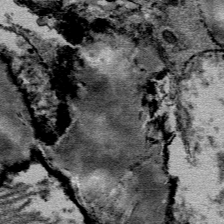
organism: Mouse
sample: Mouse Salivary gland